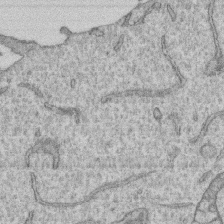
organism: Human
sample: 1205lu cells